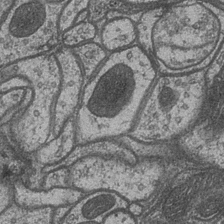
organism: Drosophila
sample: Optic medulla